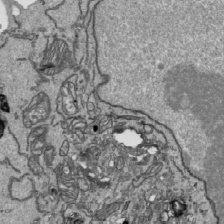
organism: Human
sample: Mitochondria in HCT116 cells